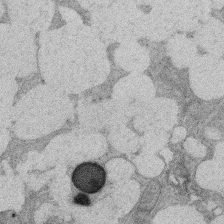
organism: Rat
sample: Salivary granule